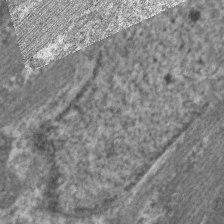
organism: C. elegans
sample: Pharynx